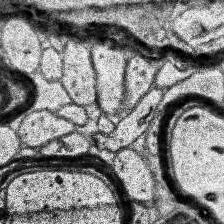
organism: Human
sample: Temporal Lobe